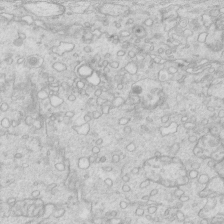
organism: Mouse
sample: Multiciliated cells